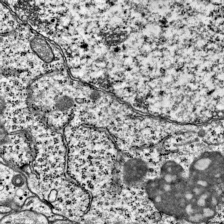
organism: Mouse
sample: Visual Cortex